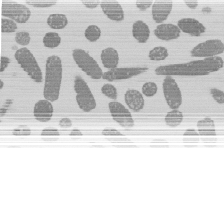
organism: E. coli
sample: Bacterial nucleoid